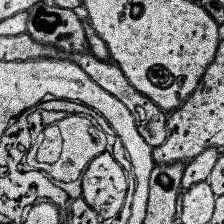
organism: Human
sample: Temporal Lobe